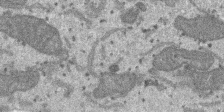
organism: Human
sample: Lung epithelial cells infected with SARS-CoV-2